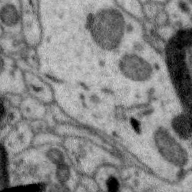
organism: Zebra finch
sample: Brain